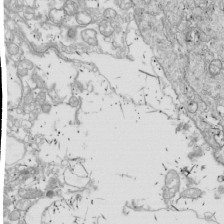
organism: Drosophila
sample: Cell division; meiosis; drosophila spermatocytes